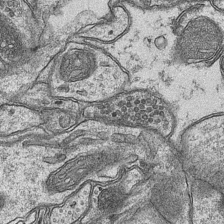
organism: Mouse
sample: CA1 Hippocampus